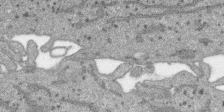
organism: Human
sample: Lung epithelial cells infected with SARS-CoV-2